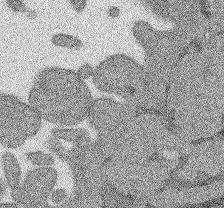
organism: Human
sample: HeLa cells